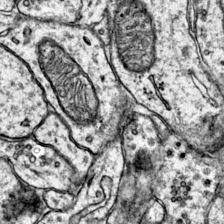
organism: Mouse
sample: Primary visual cortex